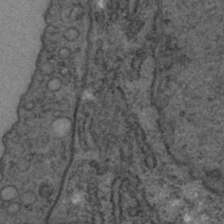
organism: C. elegans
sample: C. elegans embryo